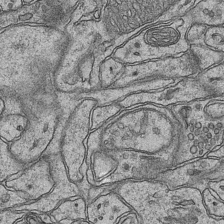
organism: Mouse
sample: CA1 Hippocampus